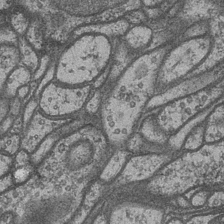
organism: Drosophila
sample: Optic medulla